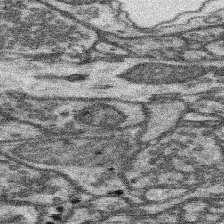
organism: Mouse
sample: Somatosensory cortex neuropil